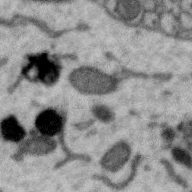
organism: Zebra finch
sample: Brain